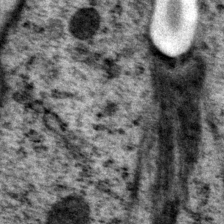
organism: P. pacificus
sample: Pharynx